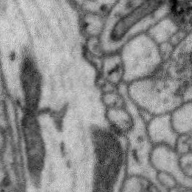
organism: Zebra finch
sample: Brain